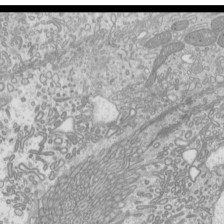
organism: Mouse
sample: Cilia; mouse epididymis